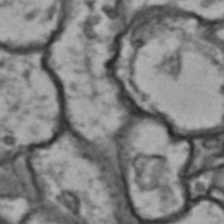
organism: Drosophila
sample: Brain